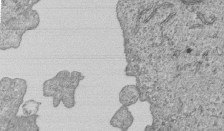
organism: Human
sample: MDA-MB-231 cells